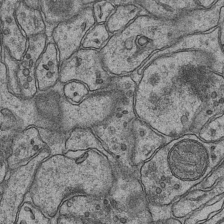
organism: Mouse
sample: CA1 Hippocampus